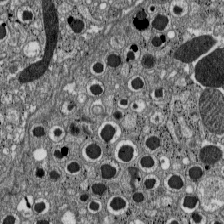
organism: C57BL Mouse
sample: Pancreatic islet